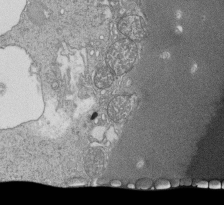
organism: Tetrahymena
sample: Cilia in tetrahymena